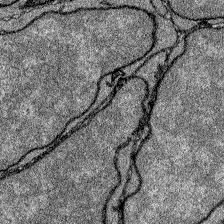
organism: Zebrafish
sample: Larval olfactory bulb